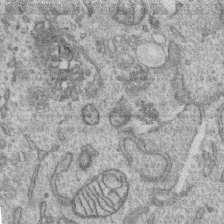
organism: Human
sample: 1205lu cells